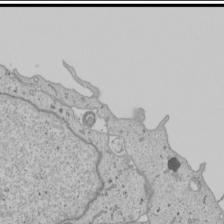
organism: Human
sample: Mitochondria in U2OS cells